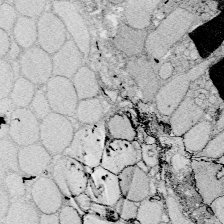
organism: Zebrafish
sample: Whole-Brain